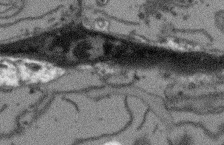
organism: Arabidopsis thaliana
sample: Root tip